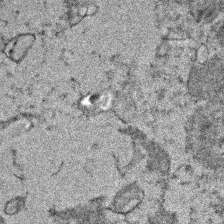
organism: Human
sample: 1205lu cells